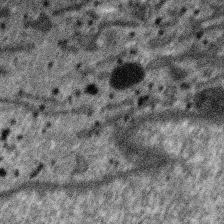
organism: Human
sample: Lung epithelial cells infected with SARS-CoV-2